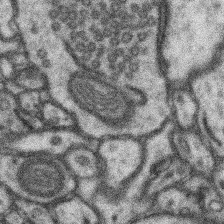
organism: Mouse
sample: Somatosensory cortex neuropil